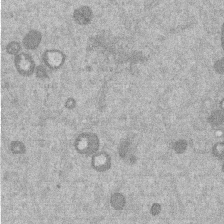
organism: Mouse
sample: Dividing mouse embryo 1 cell stage